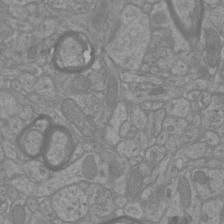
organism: Mouse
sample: Cortical neurons